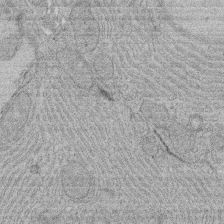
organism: Rat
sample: Salivary granule